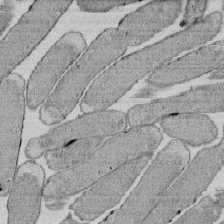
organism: E. coli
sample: Bacterial nucleoid